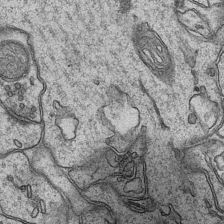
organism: Mouse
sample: CA1 Hippocampus